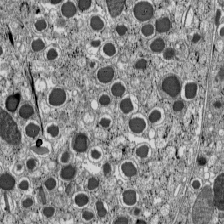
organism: C57BL Mouse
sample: Pancreatic islet